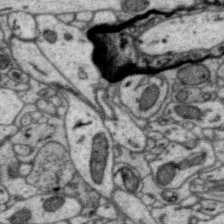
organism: Zebra finch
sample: Brain